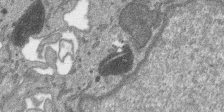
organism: Human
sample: Lung epithelial cells infected with SARS-CoV-2